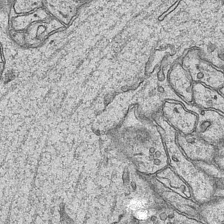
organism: Mouse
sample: CA1 Hippocampus